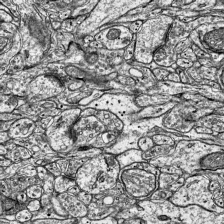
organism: Mouse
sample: Visual Cortex